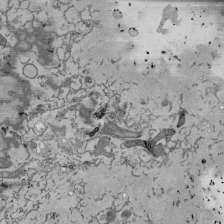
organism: Mouse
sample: ED-1 cell nuclei; centrioles